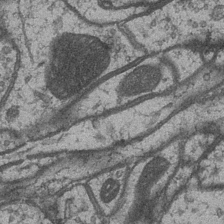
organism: Drosophila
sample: Optic medulla